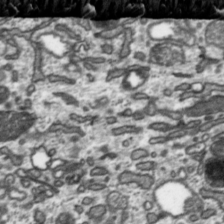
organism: Toxoplasma gondii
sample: Parasites in a vacuole inside a host cell